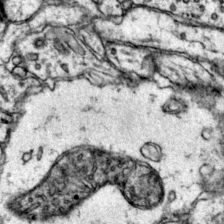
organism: Mouse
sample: Primary visual cortex